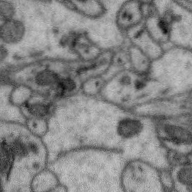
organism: Zebra finch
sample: Brain